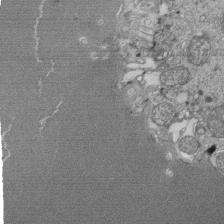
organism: Tetrahymena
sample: Cilia in tetrahymena